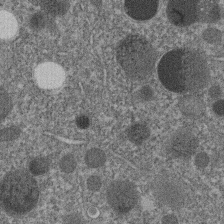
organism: C. elegans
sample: C. elegans embryo early stage